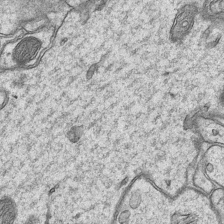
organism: Mouse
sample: CA1 Hippocampus